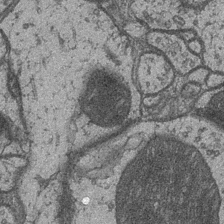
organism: Drosophila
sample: Optic medulla